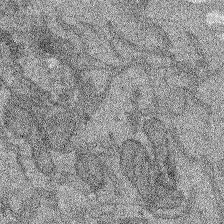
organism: Human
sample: HeLa cells